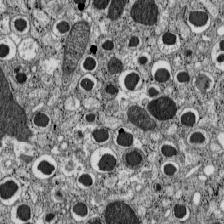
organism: C57BL Mouse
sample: Pancreatic islet